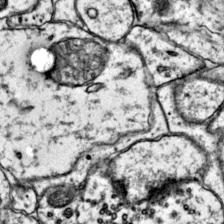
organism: Mouse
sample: Primary visual cortex